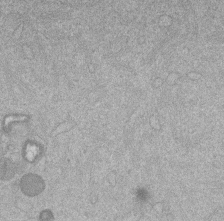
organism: Mouse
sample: Dividing mouse embryo 1 cell stage